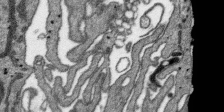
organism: Human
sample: Lung epithelial cells, uninfected (mock) control